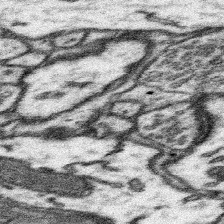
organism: Mouse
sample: Somatosensory cortex neuropil